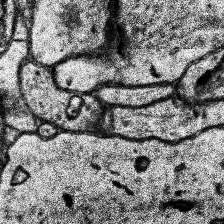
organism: Human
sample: Temporal Lobe